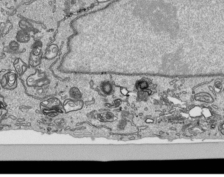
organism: Human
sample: Mitochondria in HCT116 cells